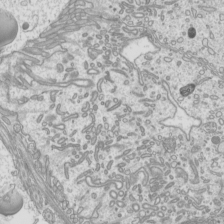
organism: Mouse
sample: Cilia; mouse epididymis